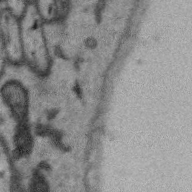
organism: Zebra finch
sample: Brain